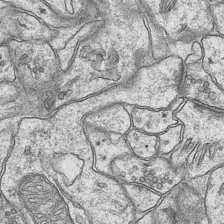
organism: Mouse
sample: CA1 Hippocampus